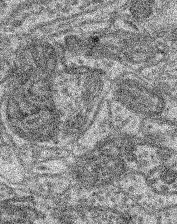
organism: Mouse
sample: Retina